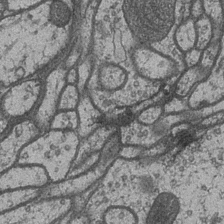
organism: Drosophila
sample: Optic medulla